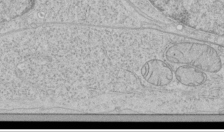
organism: Human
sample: Mitochondria in HCT116 cells